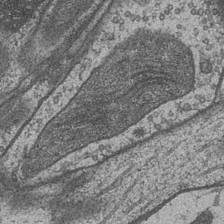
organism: Drosophila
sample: Optic medulla